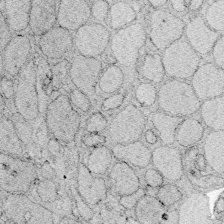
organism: Zebrafish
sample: Whole-Brain